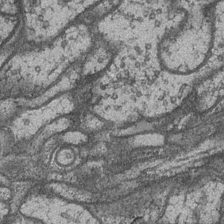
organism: Drosophila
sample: Optic medulla